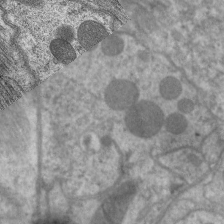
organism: C. elegans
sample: Pharynx